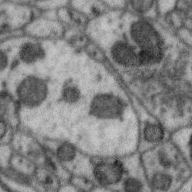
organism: Zebra finch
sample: Brain